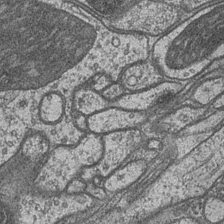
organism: Drosophila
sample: Optic medulla